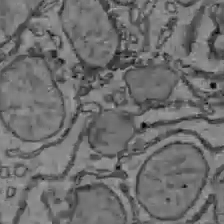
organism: C57BL Mouse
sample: Liver